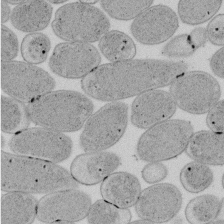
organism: E. coli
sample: Bacterial nucleoid